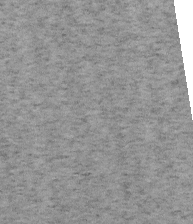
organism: Mouse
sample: OT-I killer T cells with ID8 ovarian cancer cells